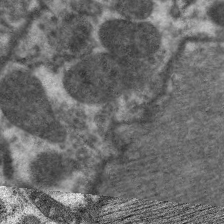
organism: C. elegans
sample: Pharynx